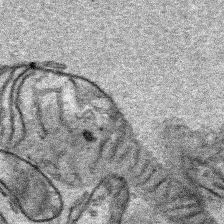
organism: Human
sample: Mitochondria in HCT116 cells